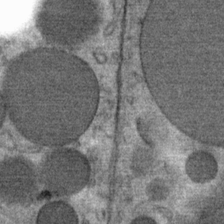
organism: Mouse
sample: Mouse Salivary gland